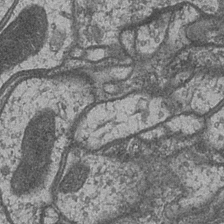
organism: Drosophila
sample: Optic medulla